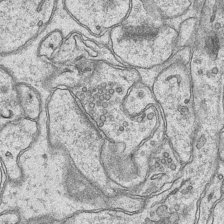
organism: Mouse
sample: CA1 Hippocampus